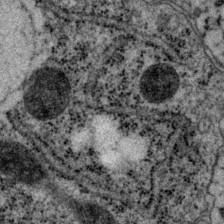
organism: P. pacificus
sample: Pharynx